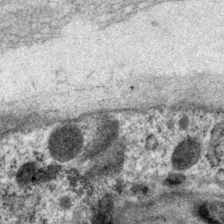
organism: P. pacificus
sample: Pharynx